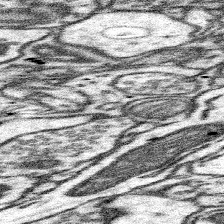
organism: Mouse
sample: Somatosensory cortex neuropil